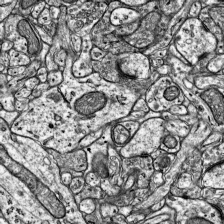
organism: Mouse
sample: Visual Cortex